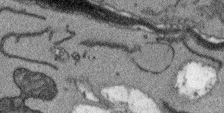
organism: Arabidopsis thaliana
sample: Root tip